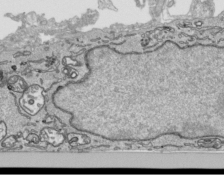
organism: Human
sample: Mitochondria in HCT116 cells